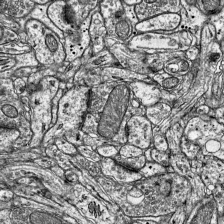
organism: Mouse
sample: Visual Cortex